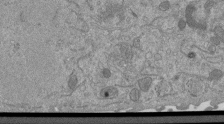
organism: Mouse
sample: ED-1 cell nuclei; centrioles